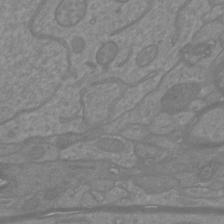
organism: Mouse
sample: Cortical neurons